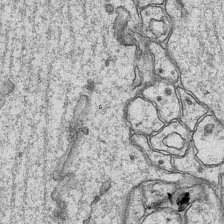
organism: Mouse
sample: CA1 Hippocampus